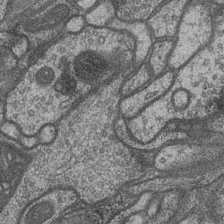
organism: Drosophila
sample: Optic medulla